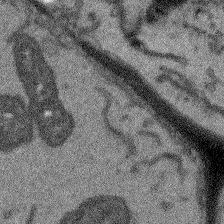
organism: Arabidopsis thaliana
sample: Root tip